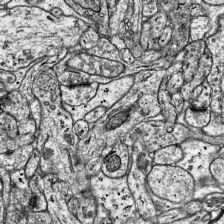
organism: Mouse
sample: Visual Cortex